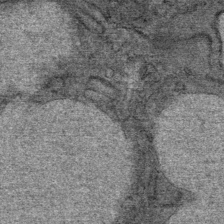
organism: Mouse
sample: Mouse Salivary gland